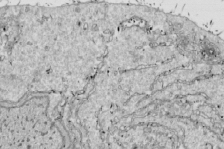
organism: Drosophila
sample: Cell division; meiosis; drosophila spermatocytes